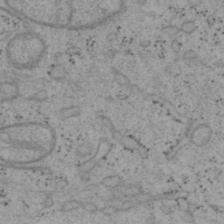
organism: Human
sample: HeLa cells